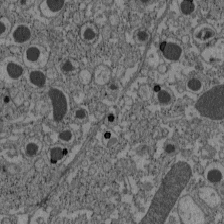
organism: C57BL Mouse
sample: Pancreatic islet